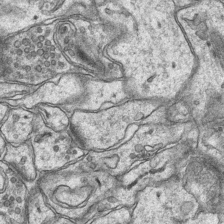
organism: Mouse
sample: CA1 Hippocampus